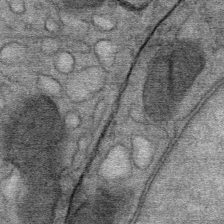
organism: Mouse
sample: Mouse Salivary gland